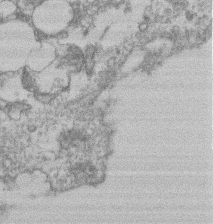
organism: Mouse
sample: T cell stromal cell synapse